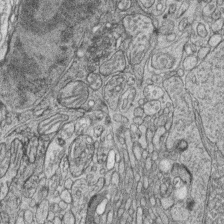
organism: Zebrafish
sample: synaptic ribbons in rod cells and cone cells